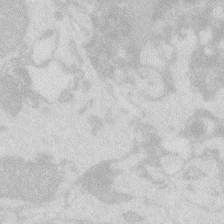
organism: Zebrafish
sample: Macrophage